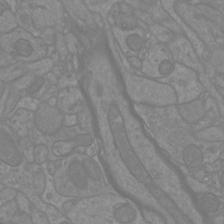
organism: Mouse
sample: Cortical neurons